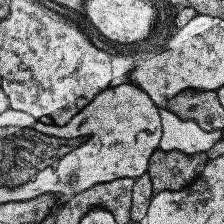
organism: Human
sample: Temporal Lobe